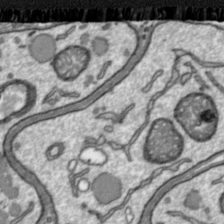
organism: Toxoplasma gondii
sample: Parasites in a vacuole inside a host cell